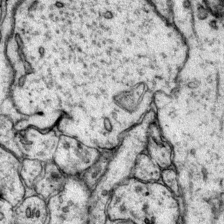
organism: Mouse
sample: Primary visual cortex